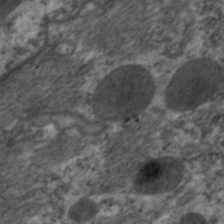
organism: C. elegans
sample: Pharynx